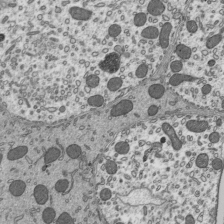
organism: Mouse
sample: Mouse epididymis efferent ductule cilia